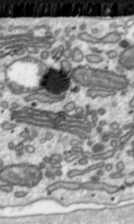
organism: Toxoplasma gondii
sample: Parasites in a vacuole inside a host cell